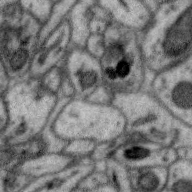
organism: Zebra finch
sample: Brain